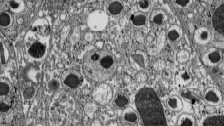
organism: C57BL Mouse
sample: Pancreatic islet